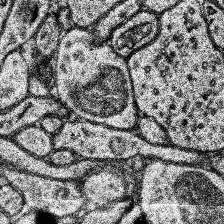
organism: Human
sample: Temporal Lobe